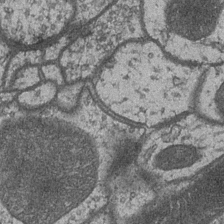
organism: Drosophila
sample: Optic medulla